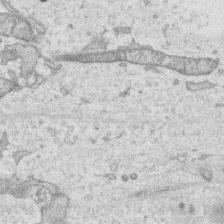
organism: Human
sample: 1205lu cells